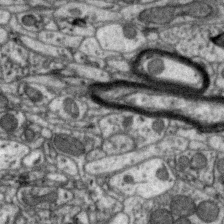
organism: Zebra finch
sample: Brain